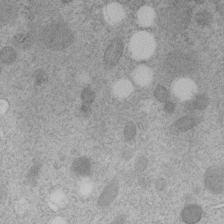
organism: C. elegans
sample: C. elegans embryo early stage